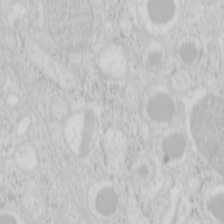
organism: Mouse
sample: Pancreas